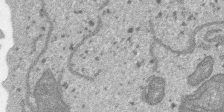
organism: Human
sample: Lung epithelial cells infected with SARS-CoV-2